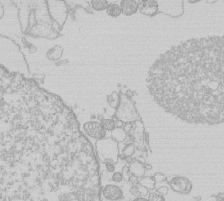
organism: Human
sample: Macrophage cells